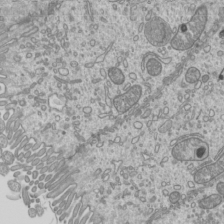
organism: Mouse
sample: Cilia; mouse epididymis